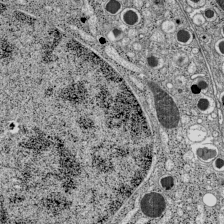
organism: C57BL Mouse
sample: Pancreatic islet